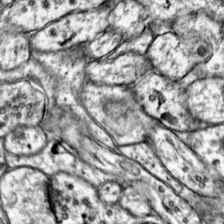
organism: Mouse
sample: Primary visual cortex